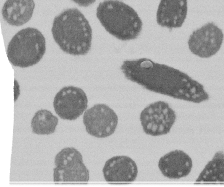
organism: E. coli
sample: Bacterial nucleoid